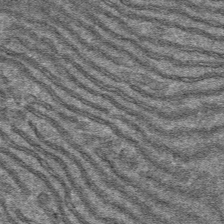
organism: Mouse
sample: Mouse hepatocytes